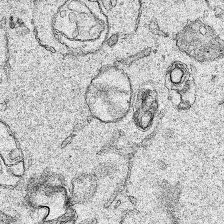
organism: Human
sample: Mitochondria in HCT116 cells